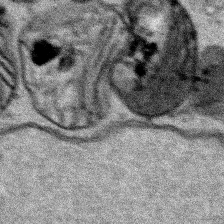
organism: Human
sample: Mitochondria in HCT116 cells